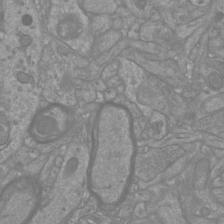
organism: Mouse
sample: Cortical neurons